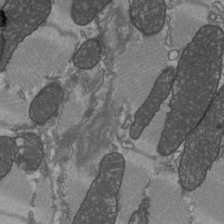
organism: C57BL Mouse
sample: Heart